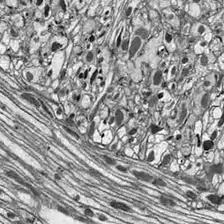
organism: Drosophila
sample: Optic lobe